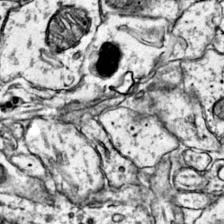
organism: Mouse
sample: Primary visual cortex